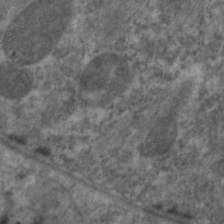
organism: C. elegans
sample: Pharynx